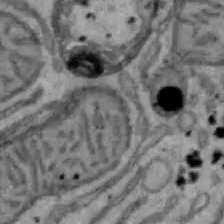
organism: Mouse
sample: Liver